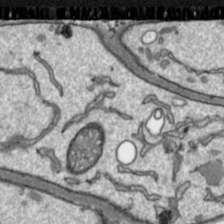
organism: Toxoplasma gondii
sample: Parasites in a vacuole inside a host cell